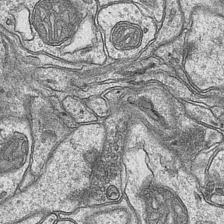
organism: Mouse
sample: CA1 Hippocampus